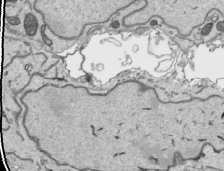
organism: Human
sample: Mitochondria in HCT116 cells